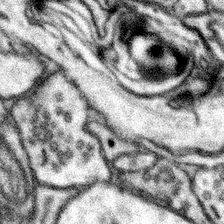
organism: Mouse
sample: Somatosensory cortex neuropil